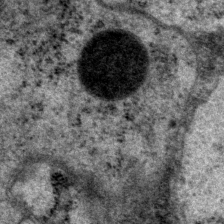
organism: P. pacificus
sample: Pharynx